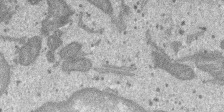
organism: Human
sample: Lung epithelial cells infected with SARS-CoV-2